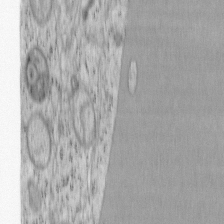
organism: Human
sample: HeLa cells